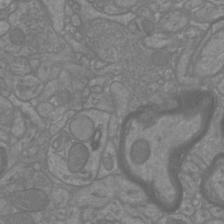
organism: Mouse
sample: Cortical neurons